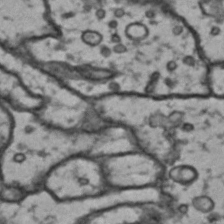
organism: Drosophila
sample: Brain